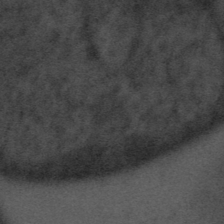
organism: Tuwongella immobilis